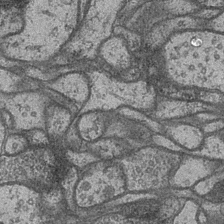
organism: Drosophila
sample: Optic medulla